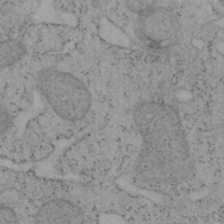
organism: Mouse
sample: OT-I killer T cells with ID8 ovarian cancer cells